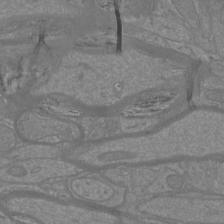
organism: Mouse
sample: Cortical neurons